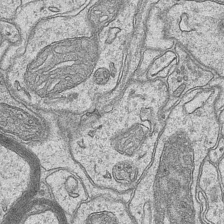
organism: Mouse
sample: CA1 Hippocampus